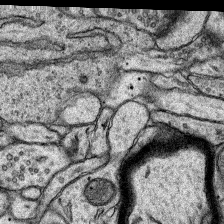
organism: Rat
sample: Hippocampus